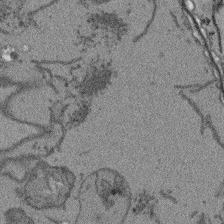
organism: Arabidopsis thaliana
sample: Root tip